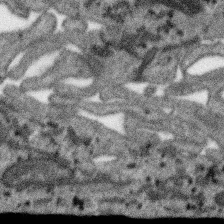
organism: Human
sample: Lung epithelial cells infected with SARS-CoV-2